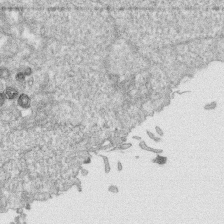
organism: Human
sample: HeLa cell HIV synapse